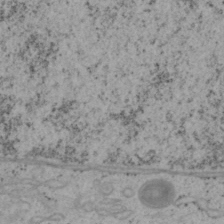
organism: Human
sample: HeLa cells